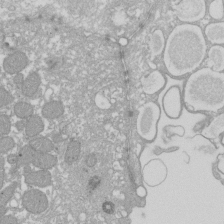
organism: Xenopus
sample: Cilia; centrioles in frog embryo cells